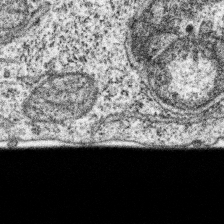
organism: Human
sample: HeLa cells